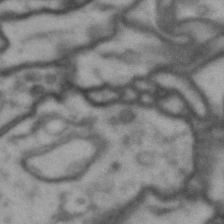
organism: Drosophila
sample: Brain